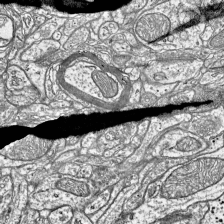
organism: Mouse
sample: Visual Cortex